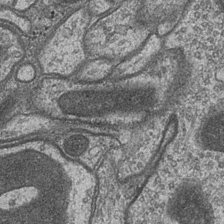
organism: Drosophila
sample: Optic medulla